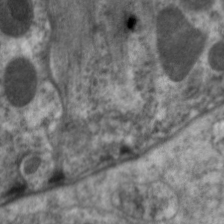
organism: C. elegans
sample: Pharynx